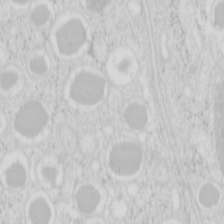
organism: Mouse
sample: Pancreas